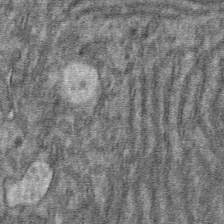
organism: Mouse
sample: Mouse hepatocytes